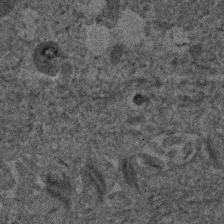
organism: Human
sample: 1205lu cells